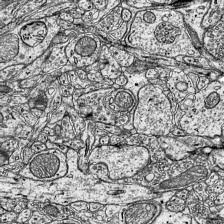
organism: Mouse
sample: Visual Cortex